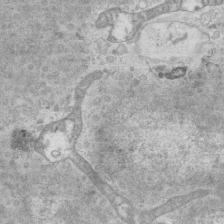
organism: Mouse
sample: Centriole in ependymal cells